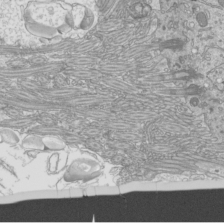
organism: Mouse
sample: Cilia; mouse epididymis